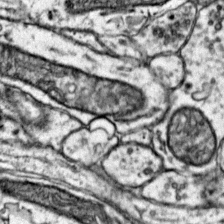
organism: Mouse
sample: Primary visual cortex